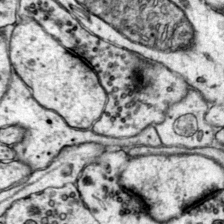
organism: Mouse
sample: Primary visual cortex